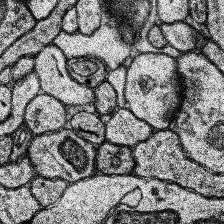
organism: Human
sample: Temporal Lobe